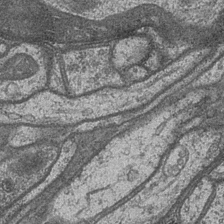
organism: Drosophila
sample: Optic medulla